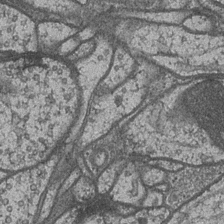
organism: Drosophila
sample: Optic medulla